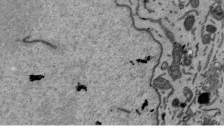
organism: Mouse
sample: ED-1 cell nuclei; centrioles